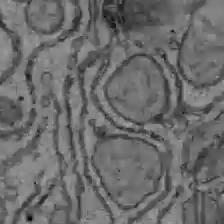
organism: C57BL Mouse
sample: Liver